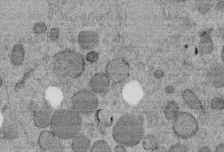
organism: C. elegans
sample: C. elegans embryo early stage